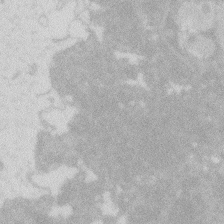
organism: Zebrafish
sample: Macrophage